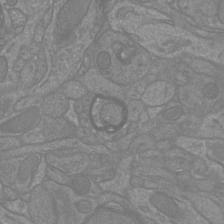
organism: Mouse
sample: Cortical neurons